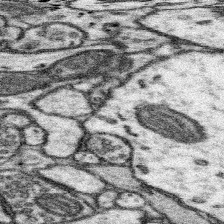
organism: Mouse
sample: Somatosensory cortex neuropil